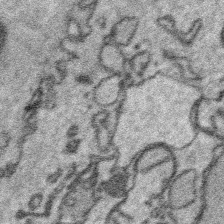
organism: Platynereis dumerilii